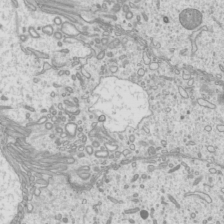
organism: Mouse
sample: Cilia; mouse epididymis